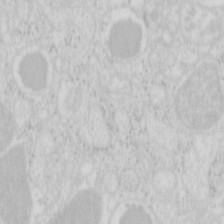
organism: Mouse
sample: Pancreas